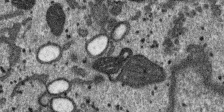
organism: Human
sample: Lung epithelial cells infected with SARS-CoV-2